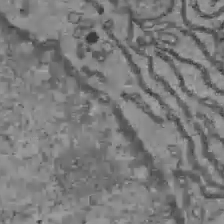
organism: C57BL Mouse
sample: Liver